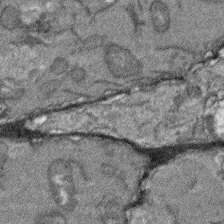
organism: Arabidopsis thaliana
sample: Root tip